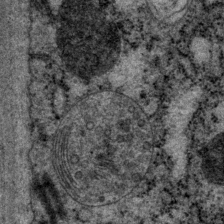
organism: P. pacificus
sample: Pharynx